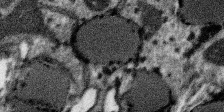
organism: Human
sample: Lung epithelial cells infected with SARS-CoV-2